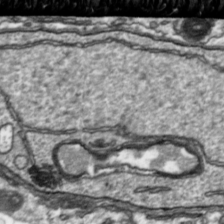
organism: Toxoplasma gondii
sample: Parasites in a vacuole inside a host cell